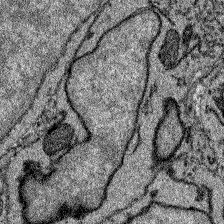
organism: Zebrafish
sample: Larval olfactory bulb